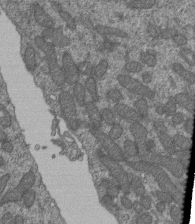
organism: Human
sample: Retinal organoid Rod and Cone cells